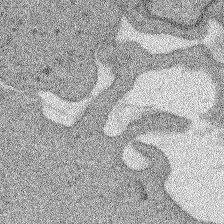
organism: Human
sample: HeLa cells